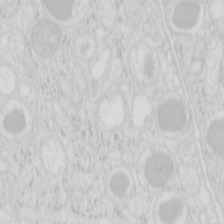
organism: Mouse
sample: Pancreas